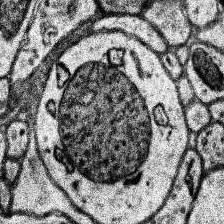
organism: Human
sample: Temporal Lobe